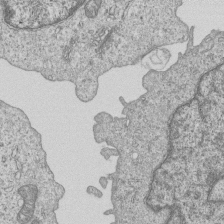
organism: Human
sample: MDA-MB-231 cells